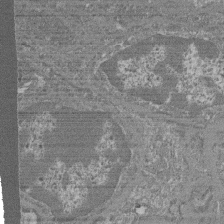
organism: Mouse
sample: Glomerulus